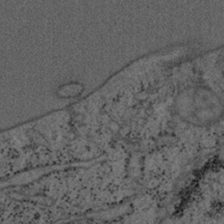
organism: Human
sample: HeLa cells